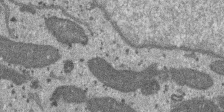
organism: Human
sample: Lung epithelial cells infected with SARS-CoV-2